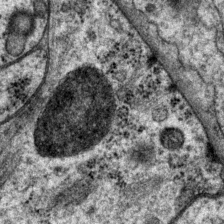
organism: P. pacificus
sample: Pharynx